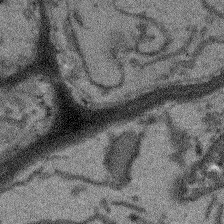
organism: Arabidopsis thaliana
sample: Root tip